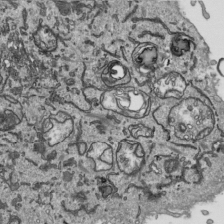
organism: Human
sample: Mitochondria in HCT116 cells